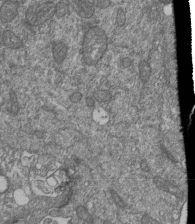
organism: Human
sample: Retinal organoid Rod and Cone cells